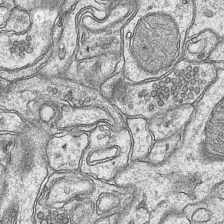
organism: Mouse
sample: CA1 Hippocampus